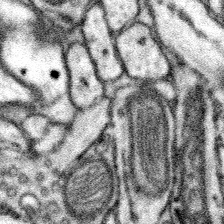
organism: Mouse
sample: Somatosensory cortex neuropil